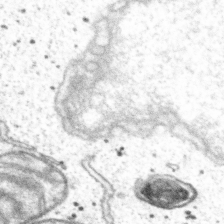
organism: Human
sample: HeLa cells